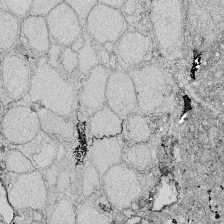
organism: Zebrafish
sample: Whole-Brain